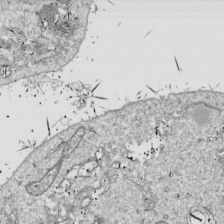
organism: Drosophila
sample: Cell division; meiosis; drosophila spermatocytes